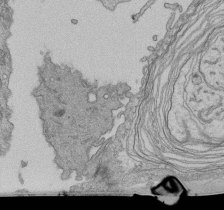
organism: Human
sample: Retinal organoid Rod and Cone cells